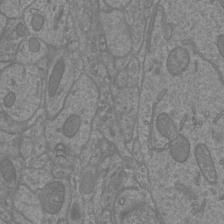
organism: Mouse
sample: Cortical neurons